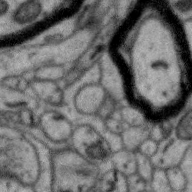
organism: Zebra finch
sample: Brain